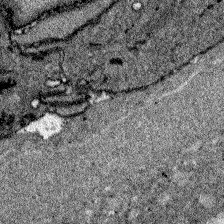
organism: Zebrafish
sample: Larval olfactory bulb